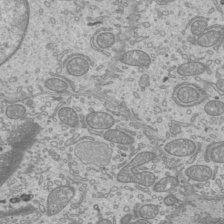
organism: Mouse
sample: Cilia; mouse epididymis